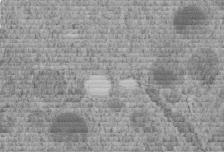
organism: C. elegans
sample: C. elegans embryo early stage